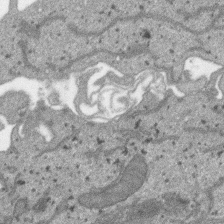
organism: Human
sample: Lung epithelial cells infected with SARS-CoV-2